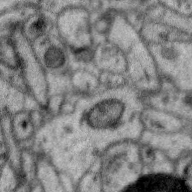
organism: Zebra finch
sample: Brain